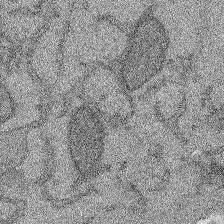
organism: Human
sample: HeLa cells